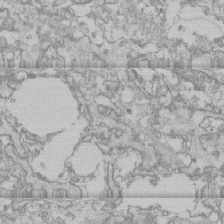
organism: Human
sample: CRL-1474